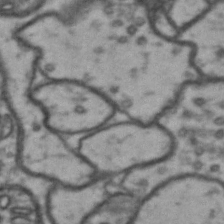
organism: Drosophila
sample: Brain